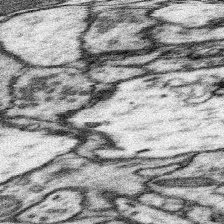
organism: Mouse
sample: Somatosensory cortex neuropil